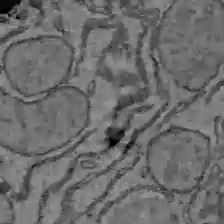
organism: C57BL Mouse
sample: Liver